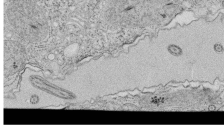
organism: Tetrahymena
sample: Cilia in tetrahymena